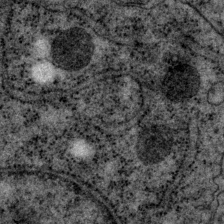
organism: P. pacificus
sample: Pharynx